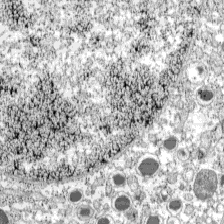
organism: C57BL Mouse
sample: Pancreatic islet